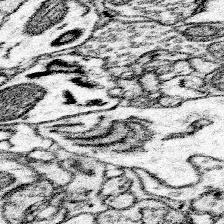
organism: Mouse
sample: Somatosensory cortex neuropil